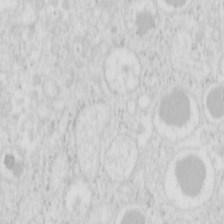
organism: Mouse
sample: Pancreas